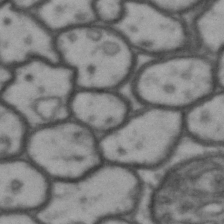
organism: Drosophila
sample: Brain